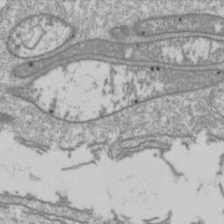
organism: Drosophila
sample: Cell division; meiosis; drosophila spermatocytes